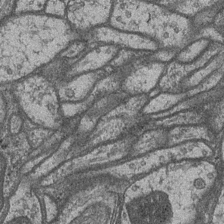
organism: Drosophila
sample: Optic medulla